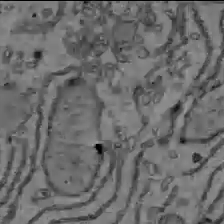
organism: C57BL Mouse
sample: Liver